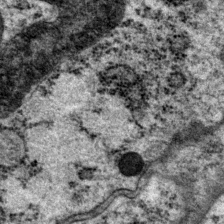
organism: P. pacificus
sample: Pharynx